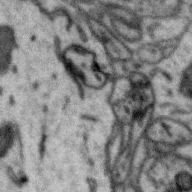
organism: Zebra finch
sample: Brain